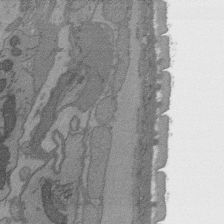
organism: C. elegans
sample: AFD neurons C. elegans